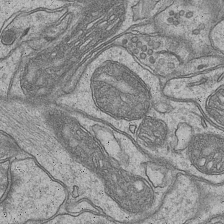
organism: Mouse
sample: CA1 Hippocampus